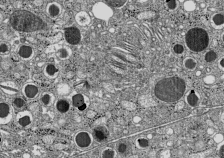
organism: C57BL Mouse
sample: Pancreatic islet